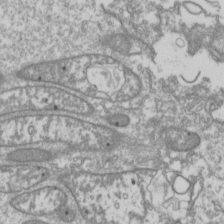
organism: Drosophila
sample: Cell division; meiosis; drosophila spermatocytes